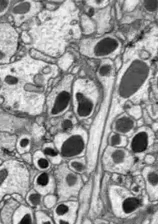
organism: Drosophila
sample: Optic lobe